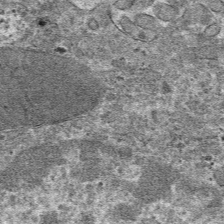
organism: Mouse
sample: Mouse hepatocytes